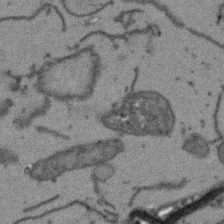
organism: Arabidopsis thaliana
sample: Root tip